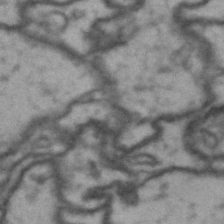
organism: Drosophila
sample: Brain